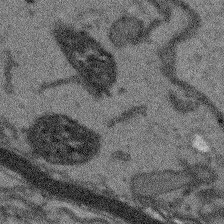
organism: Arabidopsis thaliana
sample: Root tip